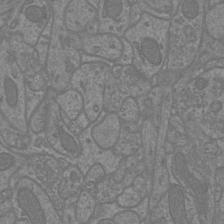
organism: Mouse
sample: Cortical neurons